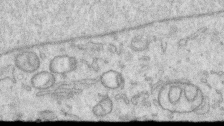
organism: Human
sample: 1205lu cells